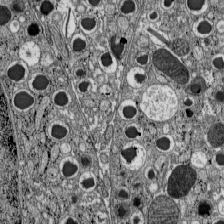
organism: C57BL Mouse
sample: Pancreatic islet